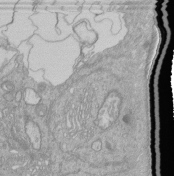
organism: Human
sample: Retinal organoid Rod and Cone cells